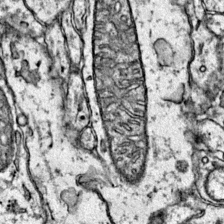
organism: Mouse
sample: Primary visual cortex